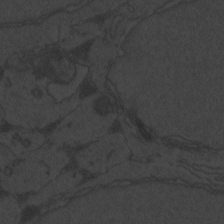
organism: Zebrafish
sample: Macrophage infected with Toxoplasma gondii